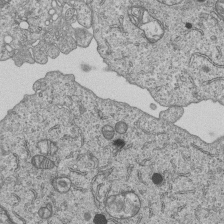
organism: Human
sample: MDA-MB-231 cells